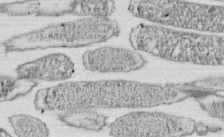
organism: E. coli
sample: Bacterial nucleoid